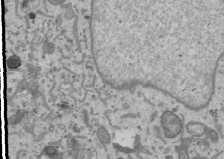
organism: Human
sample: Mitochondria in U2OS cells